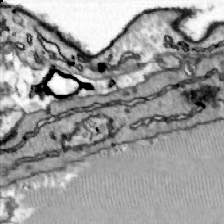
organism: Zebrafish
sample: Actinotrichia fibers